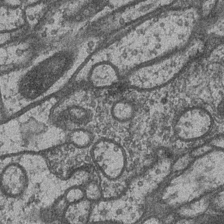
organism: Drosophila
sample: Optic medulla